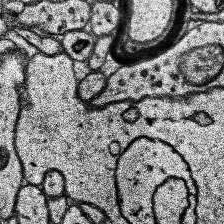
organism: Human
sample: Temporal Lobe